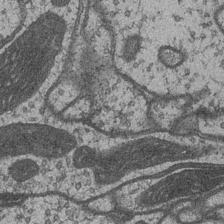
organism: Drosophila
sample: Optic medulla